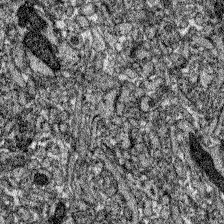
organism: Zebrafish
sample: Larval olfactory bulb